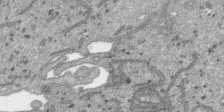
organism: Human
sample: Lung epithelial cells infected with SARS-CoV-2